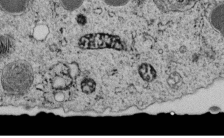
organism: C. elegans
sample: C. elegans embryo early stage